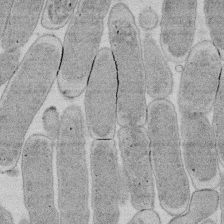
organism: E. coli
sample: Bacterial nucleoid